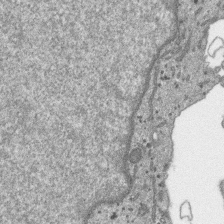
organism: Human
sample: Lung epithelial cells infected with SARS-CoV-2